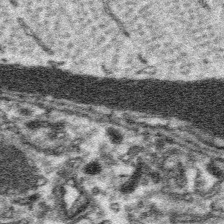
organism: Platynereis dumerilii